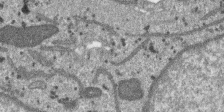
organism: Human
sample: Lung epithelial cells infected with SARS-CoV-2